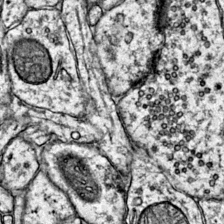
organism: Mouse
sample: Primary visual cortex